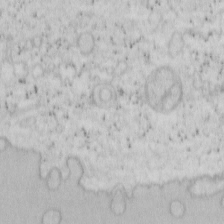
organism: Human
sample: HeLa cells